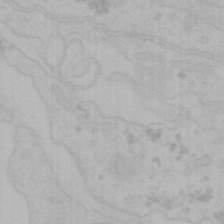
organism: Mouse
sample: Choroid plexus